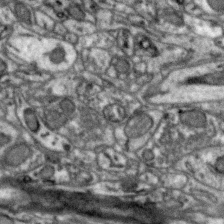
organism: Zebra finch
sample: Brain